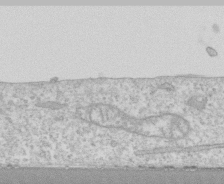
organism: Human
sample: CRL-1474